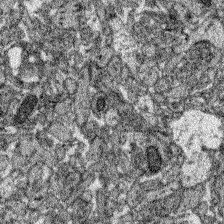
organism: Zebrafish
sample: Larval olfactory bulb